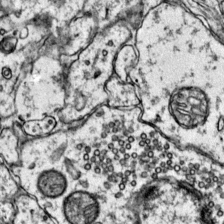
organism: Mouse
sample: Primary visual cortex